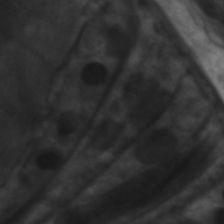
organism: C. elegans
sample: Pharynx